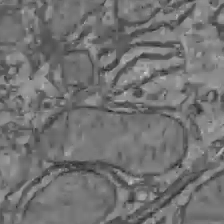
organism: C57BL Mouse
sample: Liver